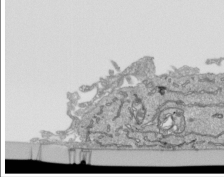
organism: Human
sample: Mitochondria in HCT116 cells